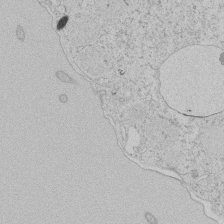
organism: Tetrahymena